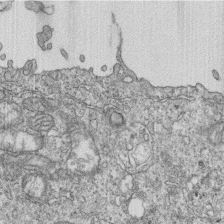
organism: Human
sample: HeLa cell HIV synapse